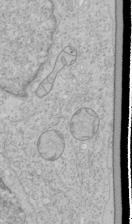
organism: Human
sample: Mitochondria in HCT116 cells